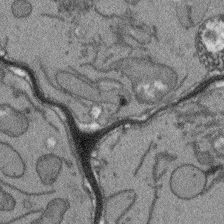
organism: Arabidopsis thaliana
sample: Root tip